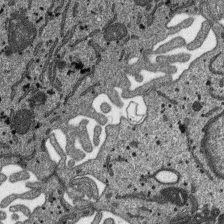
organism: Human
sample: Lung epithelial cells infected with SARS-CoV-2